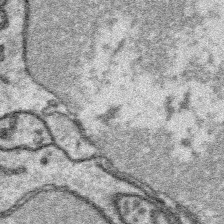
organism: Platynereis dumerilii